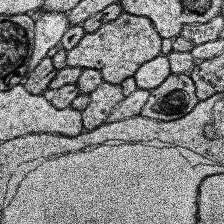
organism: Human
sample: Temporal Lobe